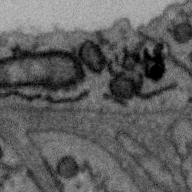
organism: Zebra finch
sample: Brain